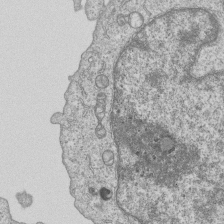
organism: Human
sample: MDA-MB-231 cells